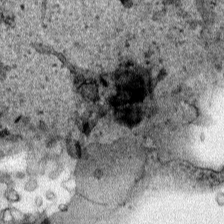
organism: Human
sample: Mitochondria in HCT116 cells